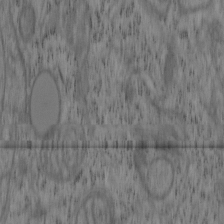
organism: Human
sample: HeLa cells